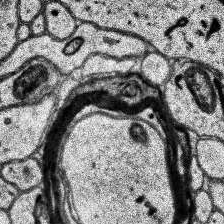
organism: Human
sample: Temporal Lobe